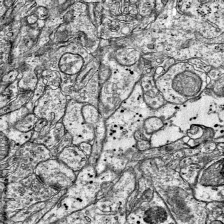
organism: Mouse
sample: Visual Cortex